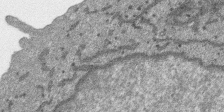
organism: Human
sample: Lung epithelial cells infected with SARS-CoV-2